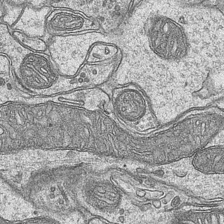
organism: Mouse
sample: CA1 Hippocampus